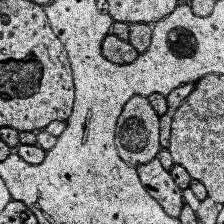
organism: Human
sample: Temporal Lobe